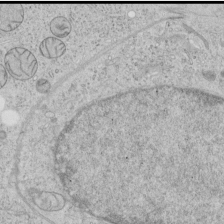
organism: Human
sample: Mitochondria in HCT116 cells